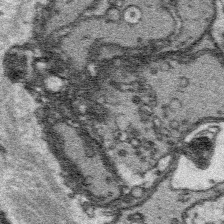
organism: Platynereis dumerilii